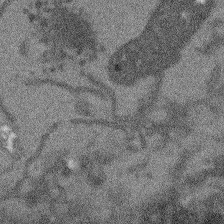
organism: Arabidopsis thaliana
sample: Root tip